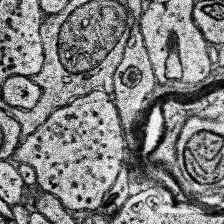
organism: Human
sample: Temporal Lobe